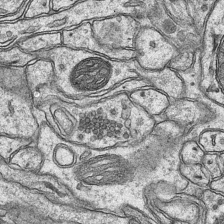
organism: Mouse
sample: CA1 Hippocampus